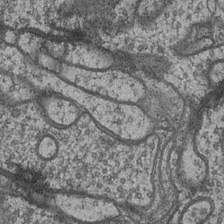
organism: Drosophila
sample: Optic medulla